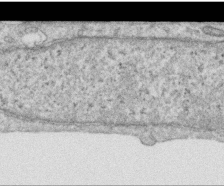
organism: Human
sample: Centriole in RPE cells